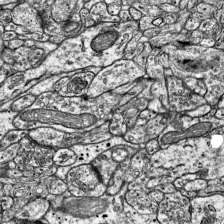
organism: Mouse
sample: Visual Cortex